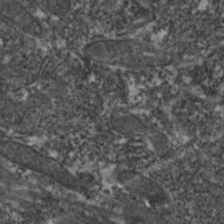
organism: Zebrafish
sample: Zebrafish embryo